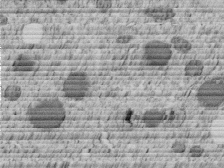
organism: C. elegans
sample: C. elegans embryo early stage